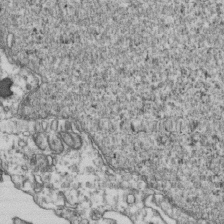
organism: Human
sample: Activated Jurkat CD4+ T cells